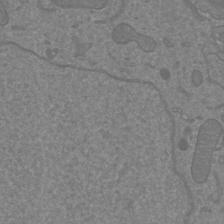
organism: Mouse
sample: Cortical neurons